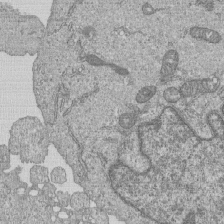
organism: Human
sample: MDA-MB-231 cells